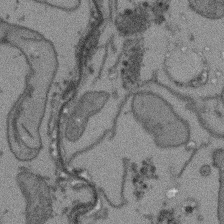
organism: Arabidopsis thaliana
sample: Root tip